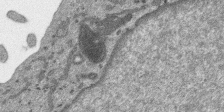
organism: Human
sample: Lung epithelial cells infected with SARS-CoV-2